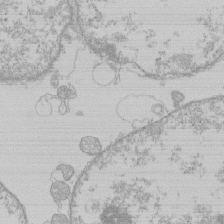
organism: Human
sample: Macrophage cells